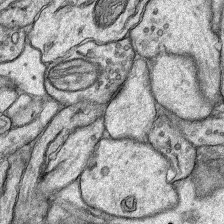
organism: Rat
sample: Hippocampus